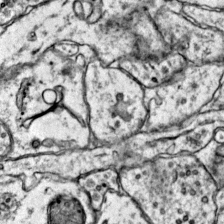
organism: Mouse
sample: Primary visual cortex